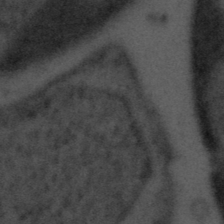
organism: Tuwongella immobilis